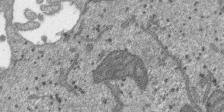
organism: Human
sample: Lung epithelial cells infected with SARS-CoV-2